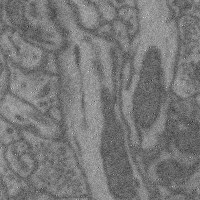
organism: Mouse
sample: Cerebral cortex